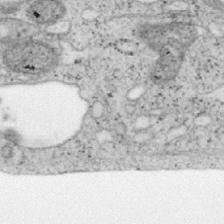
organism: Mouse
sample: OT-I killer T cells with ID8 ovarian cancer cells